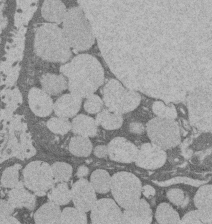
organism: Rat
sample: Salivary granule